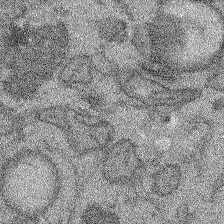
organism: Human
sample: HeLa cells